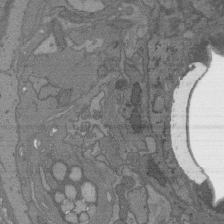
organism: C. elegans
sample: AFD neurons C. elegans